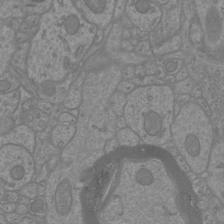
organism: Mouse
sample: Cortical neurons